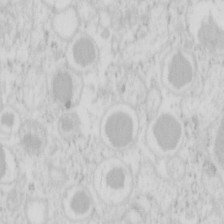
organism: Mouse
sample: Pancreas